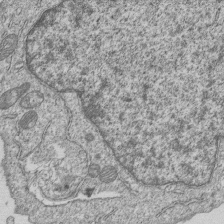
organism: Human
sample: MDA-MB-231 cells